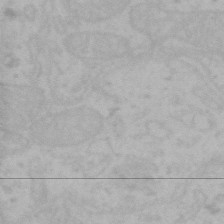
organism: Mouse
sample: Choroid plexus